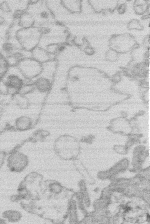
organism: Human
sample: Macrophage cells